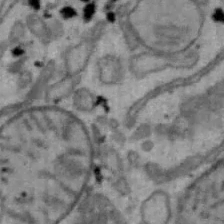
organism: Mouse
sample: Liver